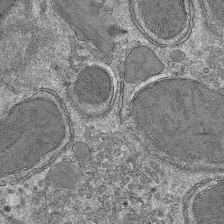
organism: Mouse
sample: Mouse hepatocytes